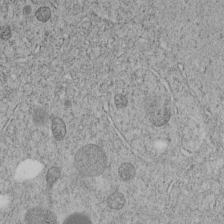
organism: C. elegans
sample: C. elegans embryo early stage